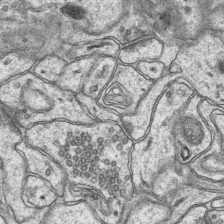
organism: Mouse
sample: CA1 Hippocampus